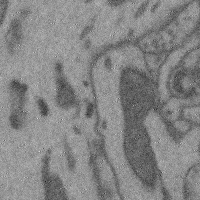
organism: Mouse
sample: Cerebral cortex